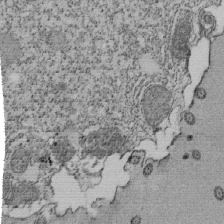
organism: Tetrahymena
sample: Cilia in tetrahymena